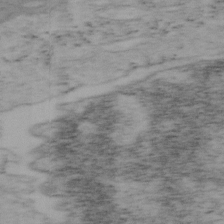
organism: Mouse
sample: OT-I killer T cells with ID8 ovarian cancer cells